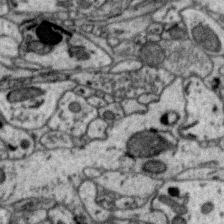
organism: Zebra finch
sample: Brain